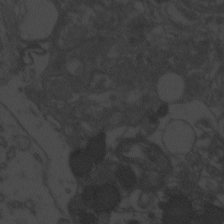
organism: Zebrafish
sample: Macrophage infected with Toxoplasma gondii